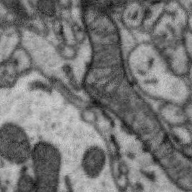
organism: Zebra finch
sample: Brain